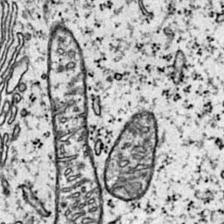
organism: Mouse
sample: Primary visual cortex